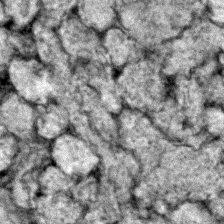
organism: Zebrafish